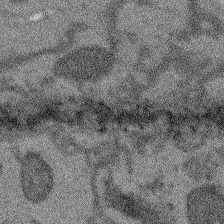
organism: Arabidopsis thaliana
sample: Root tip